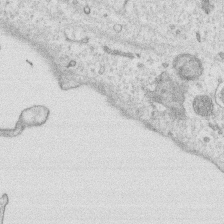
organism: Human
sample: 1205lu cells